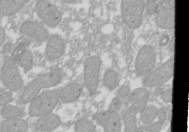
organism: Xenopus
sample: Cilia; centrioles in frog embryo cells